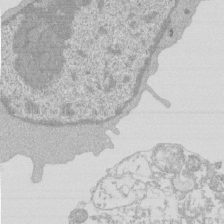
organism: Mouse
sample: Activated Pmel transgenic CD8+ T Cells